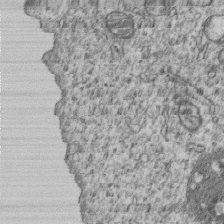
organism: Human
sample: MDA-MB-231 cells